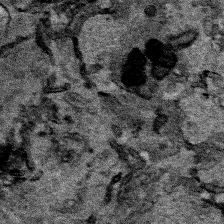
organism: Human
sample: Mitochondria in HCT116 cells